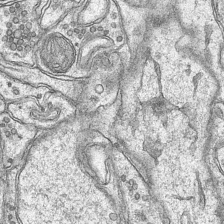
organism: Mouse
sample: CA1 Hippocampus